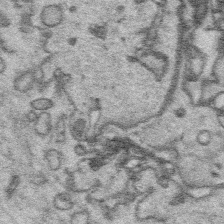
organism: Platynereis dumerilii